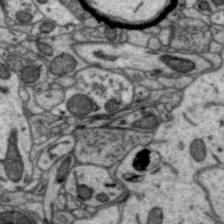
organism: Zebra finch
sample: Brain